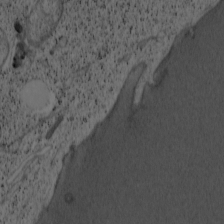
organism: African green monkey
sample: COS-7 cells